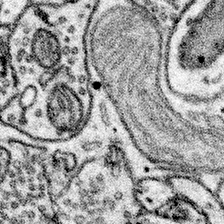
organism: Mouse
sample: Somatosensory cortex neuropil